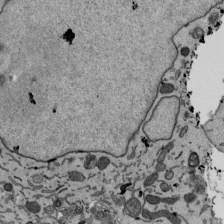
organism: Mouse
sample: ED-1 cell nuclei; centrioles